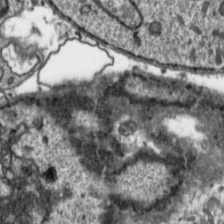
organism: Toxoplasma gondii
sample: Parasites in a vacuole inside a host cell